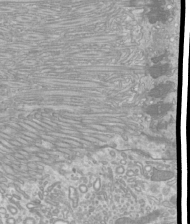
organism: Mouse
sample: Cilia; mouse epididymis